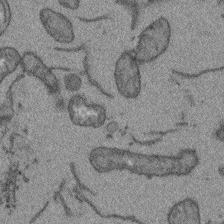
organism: Arabidopsis thaliana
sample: Root tip